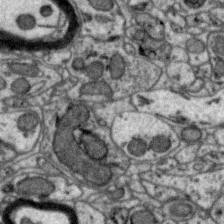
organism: Zebra finch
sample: Brain